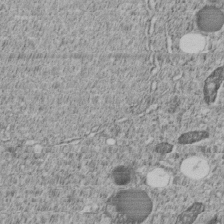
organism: C. elegans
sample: C. elegans embryo early stage